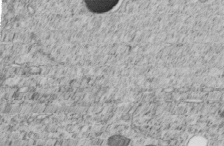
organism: C. elegans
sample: C. elegans embryo early stage